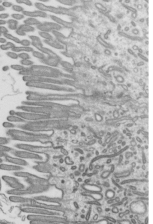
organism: Mouse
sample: Mouse epididymis efferent ductule cilia